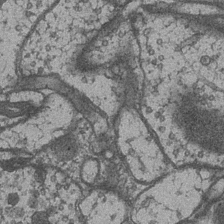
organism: Drosophila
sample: Optic medulla